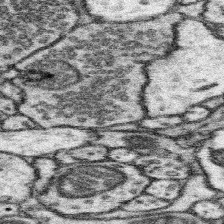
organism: Mouse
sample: Somatosensory cortex neuropil